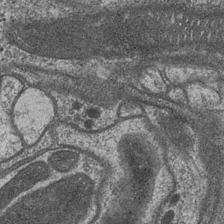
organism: Drosophila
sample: Optic medulla